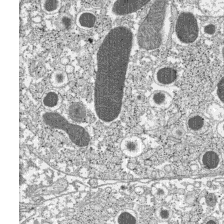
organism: C57BL Mouse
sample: Pancreatic islet